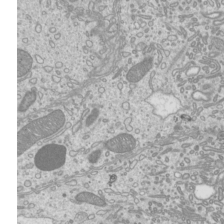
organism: Mouse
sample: Cilia; mouse epididymis